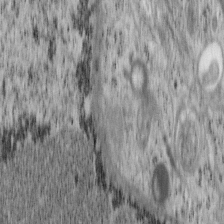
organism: Human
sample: HeLa cells